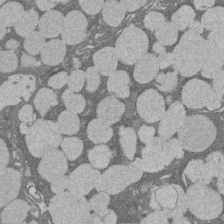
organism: Rat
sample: Salivary granule